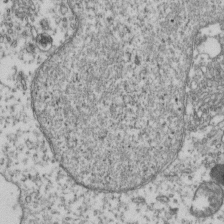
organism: Human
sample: Activated Jurkat CD4+ T cells